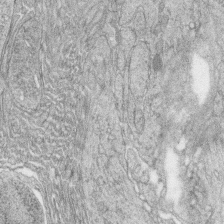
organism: Zebrafish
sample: synaptic ribbons in rod cells and cone cells